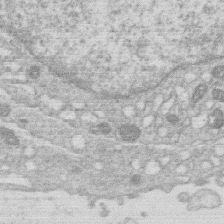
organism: Human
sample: Macrophage cells